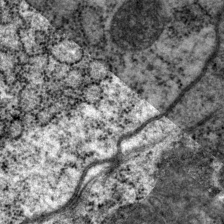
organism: P. pacificus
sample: Pharynx